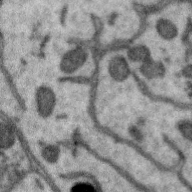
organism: Zebra finch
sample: Brain